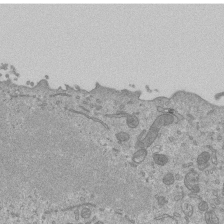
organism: Mouse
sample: ED-1 cell nuclei; centrioles